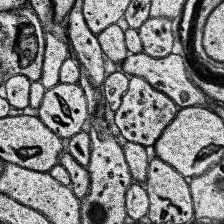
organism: Human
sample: Temporal Lobe